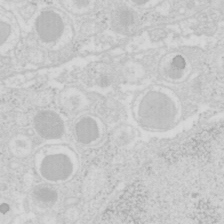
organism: Mouse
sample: Pancreas